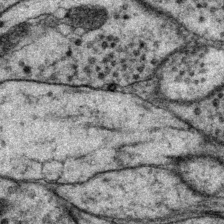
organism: P. pacificus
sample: Pharynx